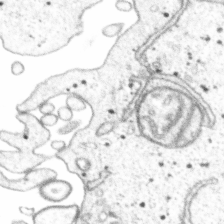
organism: Human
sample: HeLa cells